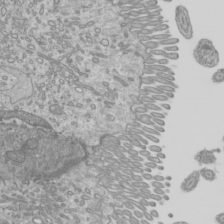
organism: Mouse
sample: Cilia; mouse epididymis